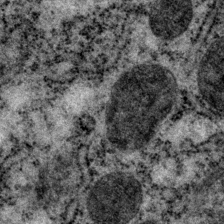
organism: P. pacificus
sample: Pharynx